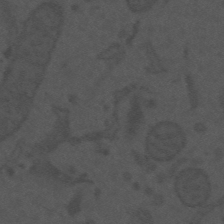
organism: Mouse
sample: Suprachiasmatic nucleus